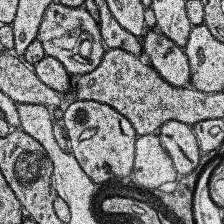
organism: Human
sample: Temporal Lobe